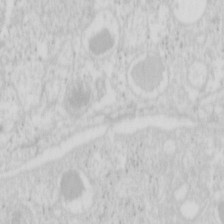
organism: Mouse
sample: Pancreas